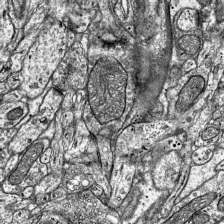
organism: Mouse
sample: Visual Cortex